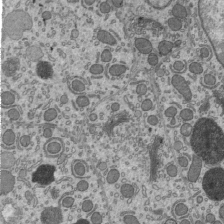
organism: Mouse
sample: Mouse epididymis efferent ductule cilia